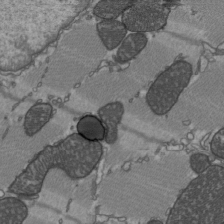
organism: C57BL Mouse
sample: Heart